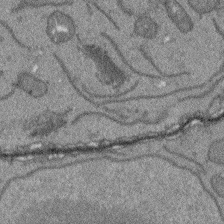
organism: Arabidopsis thaliana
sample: Root tip